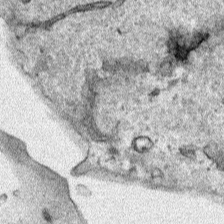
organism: Human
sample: Mitochondria in HCT116 cells